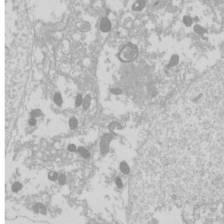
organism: Drosophila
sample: Cell division; meiosis; drosophila spermatocytes